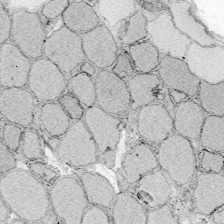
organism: Zebrafish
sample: Whole-Brain